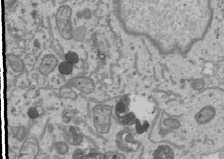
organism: Human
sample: Mitochondria in U2OS cells